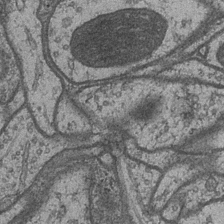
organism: Drosophila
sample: Optic medulla